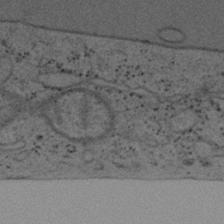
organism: Human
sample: HeLa cells